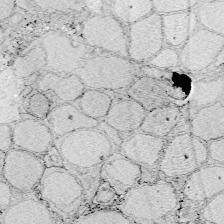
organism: Zebrafish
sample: Whole-Brain